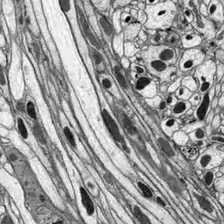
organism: Drosophila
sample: Optic lobe